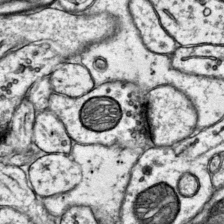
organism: Mouse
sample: Primary visual cortex